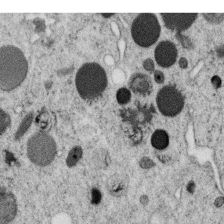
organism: C. elegans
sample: C. elegans oocyte; sperm cells